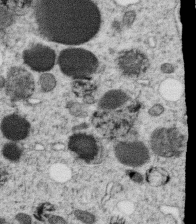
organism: C. elegans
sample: C. elegans oocyte; sperm cells